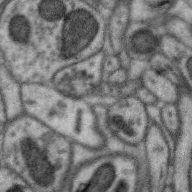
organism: Zebra finch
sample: Brain